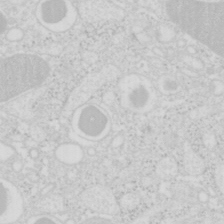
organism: Mouse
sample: Pancreas